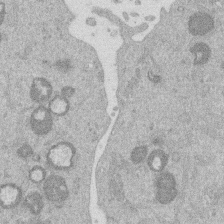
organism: Mouse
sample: Dividing mouse embryo 1 cell stage